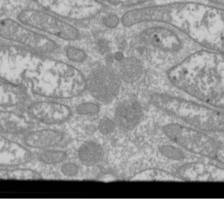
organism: Drosophila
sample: Cell division; meiosis; drosophila spermatocytes